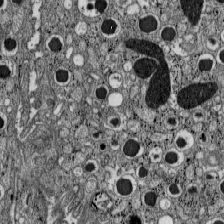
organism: C57BL Mouse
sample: Pancreatic islet